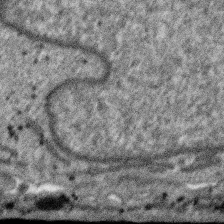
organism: Human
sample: Lung epithelial cells infected with SARS-CoV-2